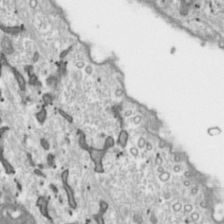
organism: Toxoplasma gondii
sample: Parasites in a vacuole inside a host cell